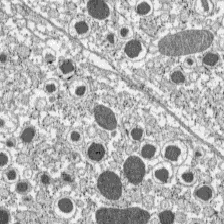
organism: C57BL Mouse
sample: Pancreatic islet